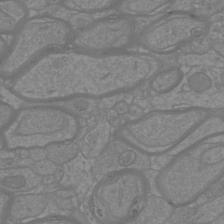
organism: Mouse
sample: Cortical neurons